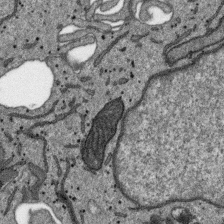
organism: Human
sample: Lung epithelial cells, uninfected (mock) control